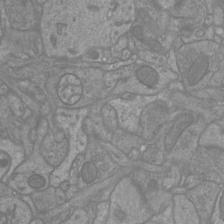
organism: Mouse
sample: Cortical neurons